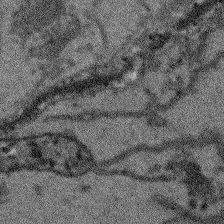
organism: Arabidopsis thaliana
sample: Root tip